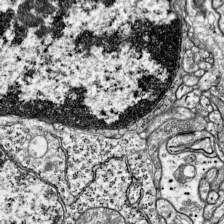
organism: Mouse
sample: Visual Cortex